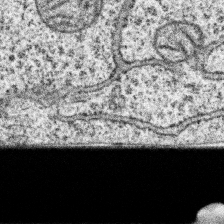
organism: Human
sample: HeLa cells